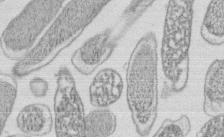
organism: E. coli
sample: Bacterial nucleoid